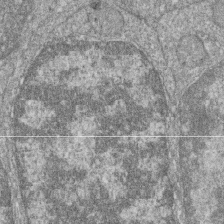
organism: Zebrafish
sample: Cilia; retinal pigment epithelium